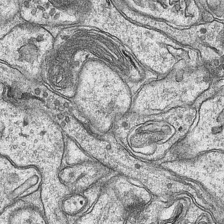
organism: Mouse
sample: CA1 Hippocampus